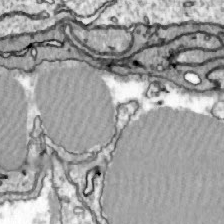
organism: Zebrafish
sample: Actinotrichia fibers